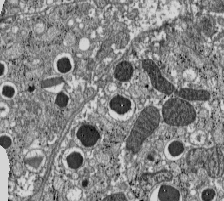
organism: C57BL Mouse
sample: Pancreatic islet